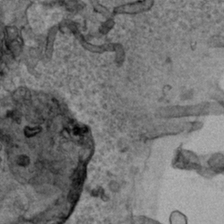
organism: Human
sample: Mitochondria in HCT116 cells